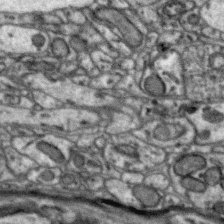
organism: Zebra finch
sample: Brain